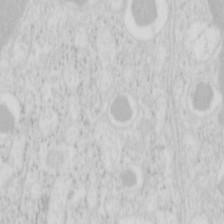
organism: Mouse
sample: Pancreas